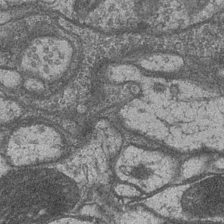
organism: Drosophila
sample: Optic medulla